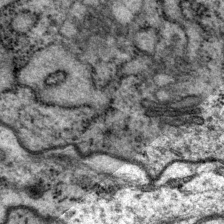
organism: P. pacificus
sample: Pharynx